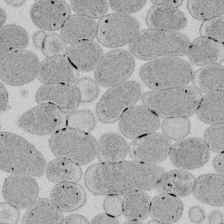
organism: E. coli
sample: Bacterial nucleoid